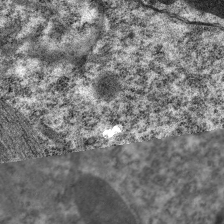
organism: C. elegans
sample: Pharynx